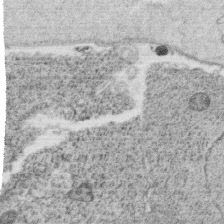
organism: C. elegans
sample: C. elegans oocyte; sperm cells